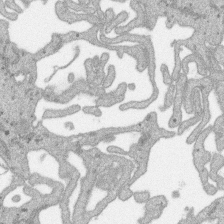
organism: Human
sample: Lung epithelial cells infected with SARS-CoV-2